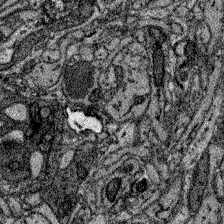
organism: Zebrafish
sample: Larval olfactory bulb